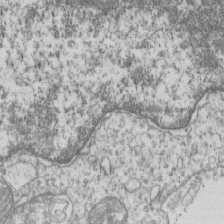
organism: Human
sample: MDA-MB-231 cells